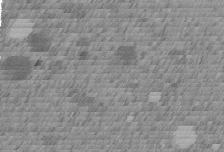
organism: C. elegans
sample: C. elegans embryo early stage